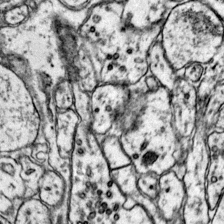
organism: Mouse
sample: Primary visual cortex